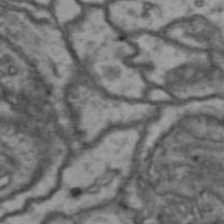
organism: Drosophila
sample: Brain